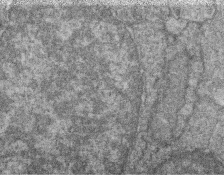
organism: Zebrafish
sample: Cilia; retinal pigment epithelium